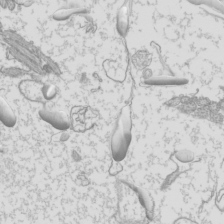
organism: Mouse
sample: Cilia; mouse epididymis